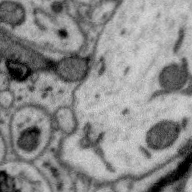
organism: Zebra finch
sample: Brain